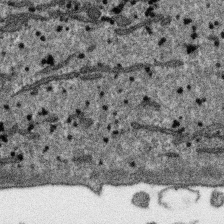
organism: Human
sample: Lung epithelial cells infected with SARS-CoV-2